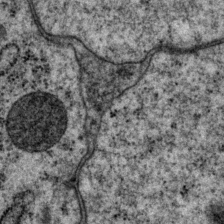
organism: P. pacificus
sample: Pharynx